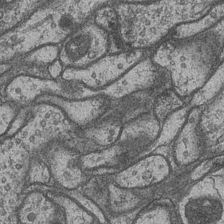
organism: Drosophila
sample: Optic medulla